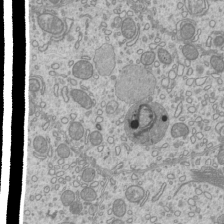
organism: Mouse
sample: Cilia; mouse epididymis